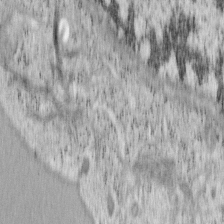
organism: Human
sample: HeLa cells